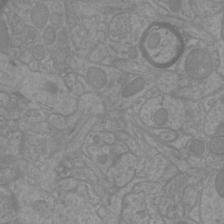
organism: Mouse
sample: Cortical neurons